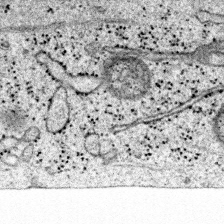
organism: Human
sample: HeLa cells